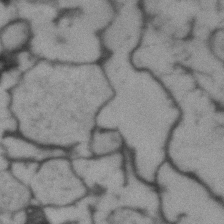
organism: Human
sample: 1205lu cells